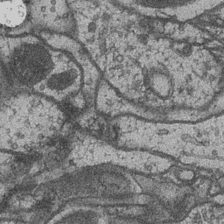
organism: Drosophila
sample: Optic medulla